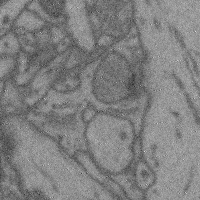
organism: Mouse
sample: Cerebral cortex